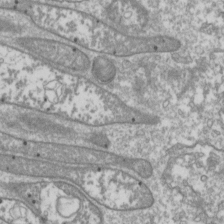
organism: Drosophila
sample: Cell division; meiosis; drosophila spermatocytes